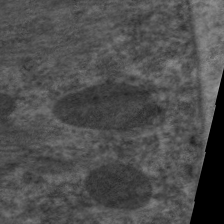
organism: C. elegans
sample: Pharynx